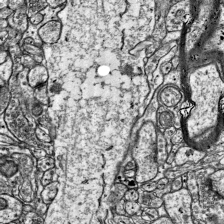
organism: Mouse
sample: Visual Cortex